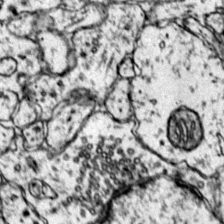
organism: Mouse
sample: Primary visual cortex